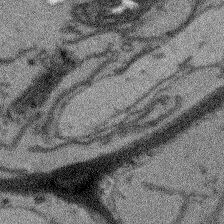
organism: Arabidopsis thaliana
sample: Root tip